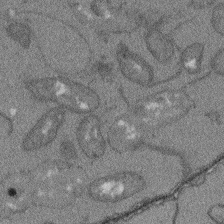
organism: Arabidopsis thaliana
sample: Root tip